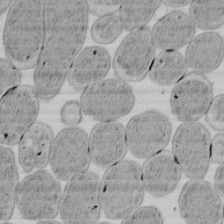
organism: E. coli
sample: Bacterial nucleoid